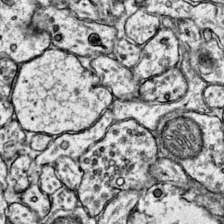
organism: Mouse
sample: Primary visual cortex